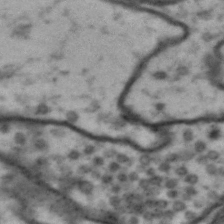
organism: Drosophila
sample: Brain